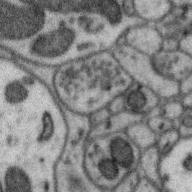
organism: Zebra finch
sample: Brain